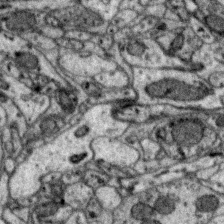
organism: Zebra finch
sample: Brain